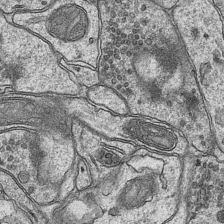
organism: Mouse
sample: CA1 Hippocampus